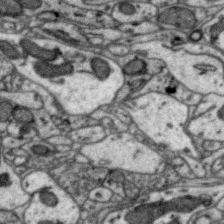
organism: Zebra finch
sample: Brain